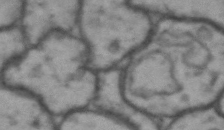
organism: Drosophila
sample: Brain